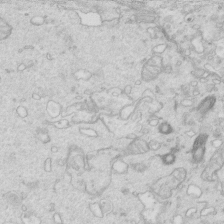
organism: Mouse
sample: Multiciliated cells